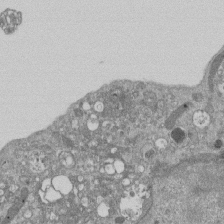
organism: Mouse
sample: ED-1 cell nuclei; centrioles